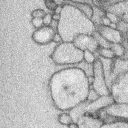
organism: Rabbit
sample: Retina